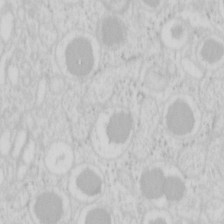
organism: Mouse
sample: Pancreas